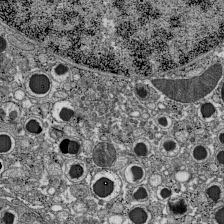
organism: C57BL Mouse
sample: Pancreatic islet